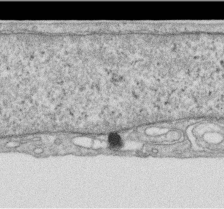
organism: Human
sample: Centriole in RPE cells